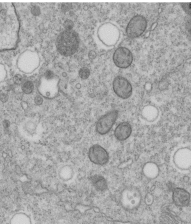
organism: C. elegans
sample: C. elegans embryo early stage